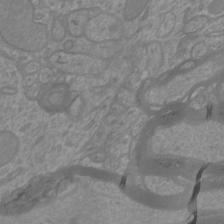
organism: Mouse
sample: Cortical neurons